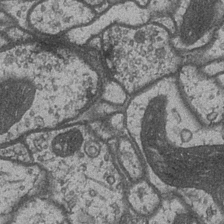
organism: Drosophila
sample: Optic medulla